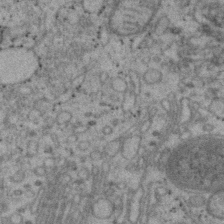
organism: Human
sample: HeLa cells